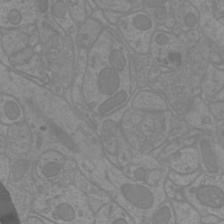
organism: Mouse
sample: Cortical neurons